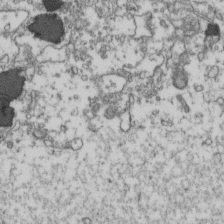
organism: Human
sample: Activated Jurkat CD4+ T cells